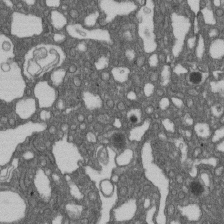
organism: Drosophila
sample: Nephrocyte